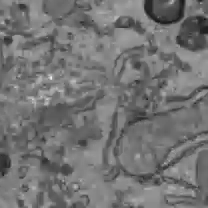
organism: C57BL Mouse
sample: Liver